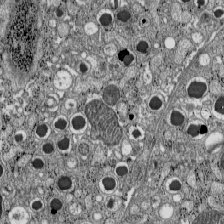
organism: C57BL Mouse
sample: Pancreatic islet